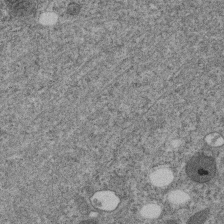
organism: C. elegans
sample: C. elegans embryo early stage